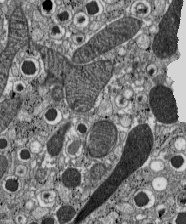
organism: C57BL Mouse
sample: Pancreatic islet